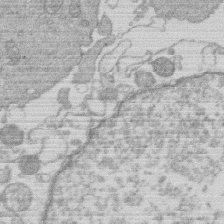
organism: Human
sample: Macrophage cells